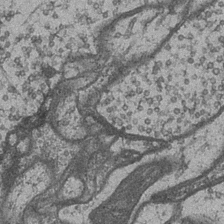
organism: Drosophila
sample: Optic medulla